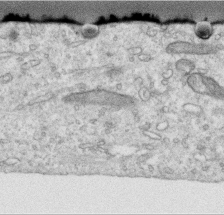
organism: Human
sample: Centriole in RPE cells